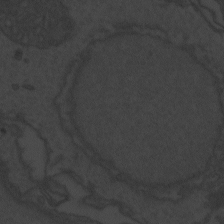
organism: Zebrafish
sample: Macrophage infected with Toxoplasma gondii